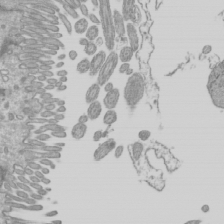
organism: Mouse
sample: Cilia; mouse epididymis